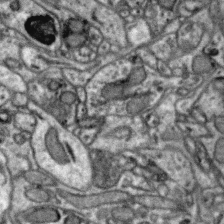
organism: Zebra finch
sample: Brain